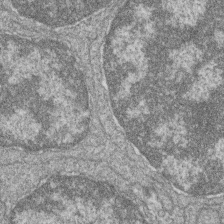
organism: Zebrafish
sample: Cilia; retinal pigment epithelium